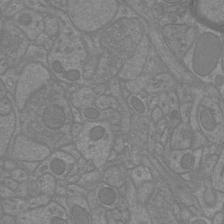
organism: Mouse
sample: Cortical neurons